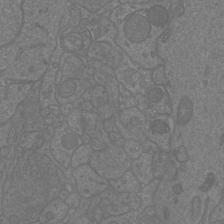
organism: Mouse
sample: Cortical neurons